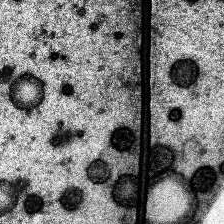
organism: Human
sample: Temporal Lobe